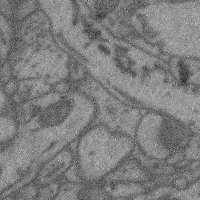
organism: Mouse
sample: Cerebral cortex